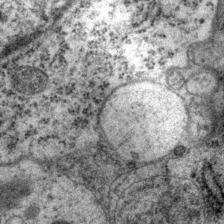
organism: P. pacificus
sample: Pharynx